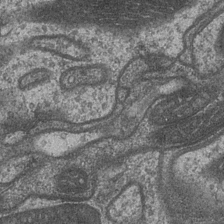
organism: Drosophila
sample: Optic medulla